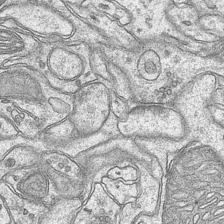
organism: Mouse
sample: CA1 Hippocampus